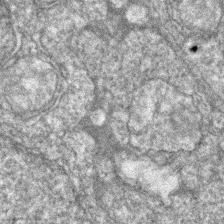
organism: Zebrafish